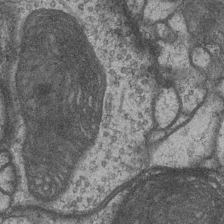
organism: Drosophila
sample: Optic medulla